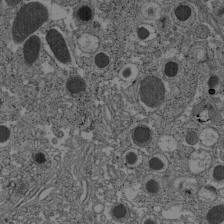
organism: C57BL Mouse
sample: Pancreatic islet